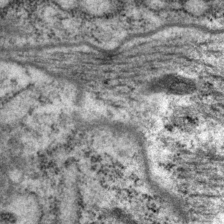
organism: P. pacificus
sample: Pharynx